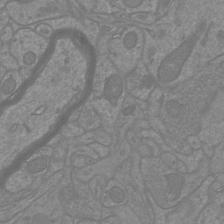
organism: Mouse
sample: Cortical neurons